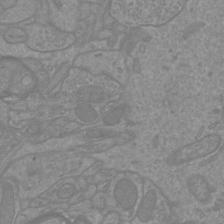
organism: Mouse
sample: Cortical neurons